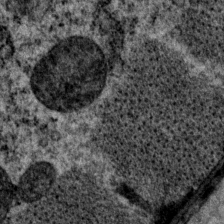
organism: P. pacificus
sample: Pharynx